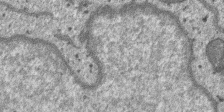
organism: Human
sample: Lung epithelial cells infected with SARS-CoV-2